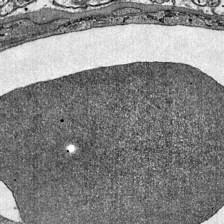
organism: Mouse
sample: Visual Cortex